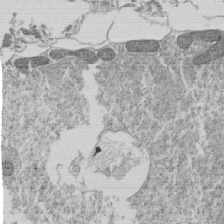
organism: Tetrahymena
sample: Cilia in tetrahymena